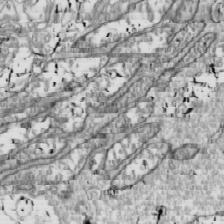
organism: Drosophila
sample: Cell division; meiosis; drosophila spermatocytes